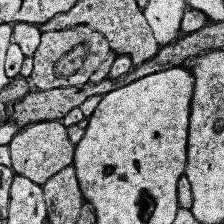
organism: Human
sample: Temporal Lobe